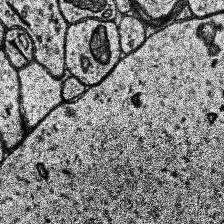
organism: Human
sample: Temporal Lobe